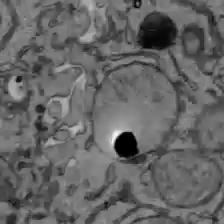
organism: C57BL Mouse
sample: Liver